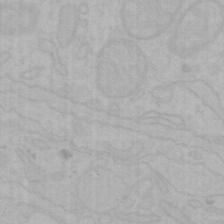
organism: Mouse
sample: Choroid plexus